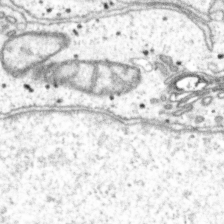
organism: Human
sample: HeLa cells